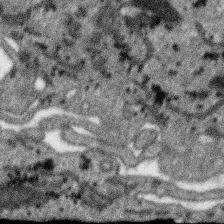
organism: Human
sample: Lung epithelial cells infected with SARS-CoV-2